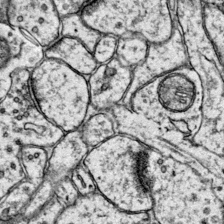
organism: Mouse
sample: Primary visual cortex